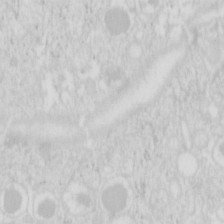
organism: Mouse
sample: Pancreas